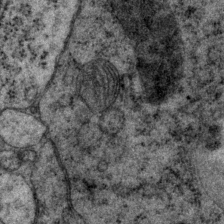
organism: P. pacificus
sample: Pharynx